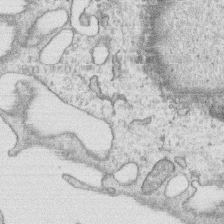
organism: Human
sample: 1205lu cells